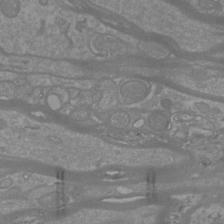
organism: Mouse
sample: Cortical neurons